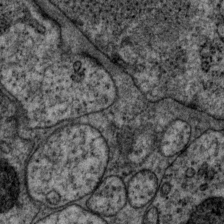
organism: P. pacificus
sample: Pharynx